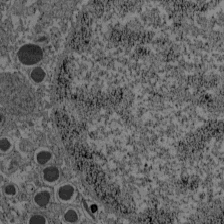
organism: C57BL Mouse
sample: Pancreatic islet